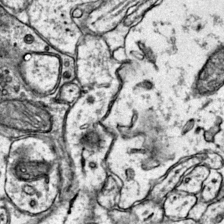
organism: Mouse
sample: Primary visual cortex